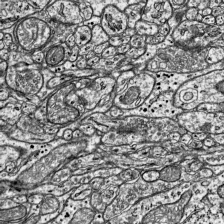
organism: Mouse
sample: Visual Cortex